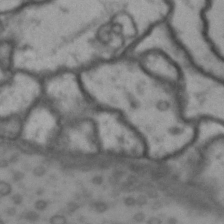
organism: Drosophila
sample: Brain